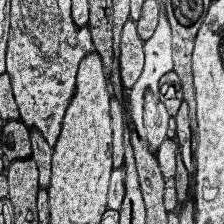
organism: Human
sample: Temporal Lobe